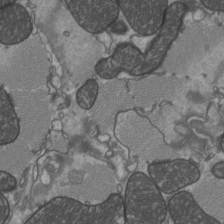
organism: C57BL Mouse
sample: Heart